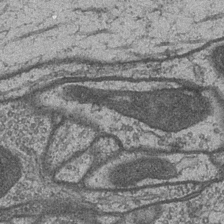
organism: Drosophila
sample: Optic medulla